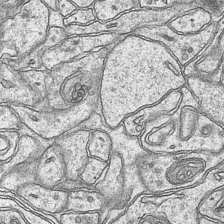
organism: Mouse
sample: CA1 Hippocampus